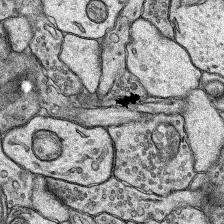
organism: Rat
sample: Hippocampus